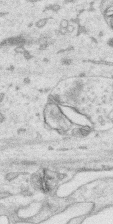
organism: Human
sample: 1205lu cells